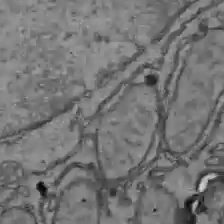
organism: C57BL Mouse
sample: Liver